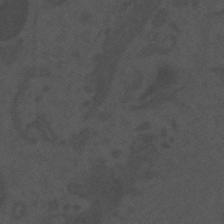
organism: Mouse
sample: Suprachiasmatic nucleus